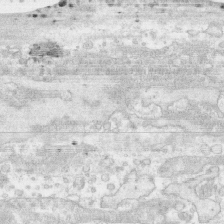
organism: Human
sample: CRL-1474